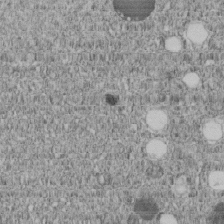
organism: C. elegans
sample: C. elegans embryo early stage